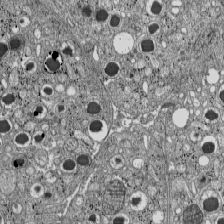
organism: C57BL Mouse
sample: Pancreatic islet